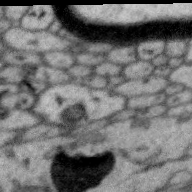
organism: Zebra finch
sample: Brain